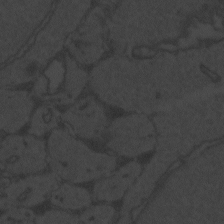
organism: Zebrafish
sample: Macrophage infected with Toxoplasma gondii